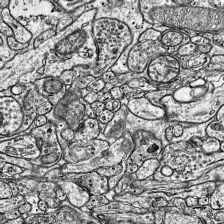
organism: Mouse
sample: Visual Cortex